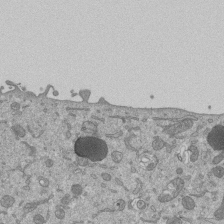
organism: Mouse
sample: ED-1 cell nuclei; centrioles